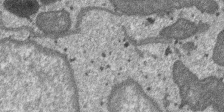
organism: Human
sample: Lung epithelial cells infected with SARS-CoV-2